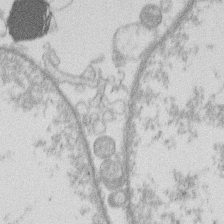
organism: Human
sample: Macrophage cells